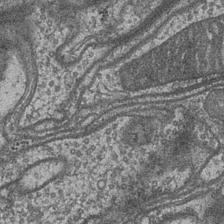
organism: Drosophila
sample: Optic medulla